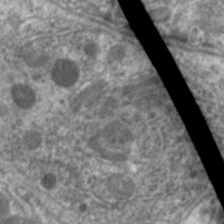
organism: C. elegans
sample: Pharynx